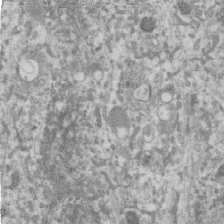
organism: Human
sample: Centriole in RPE cells